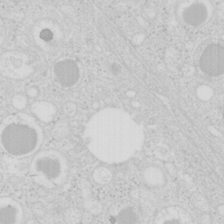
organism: Mouse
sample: Pancreas